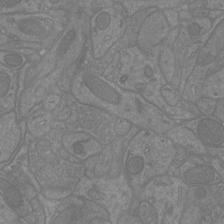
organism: Mouse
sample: Cortical neurons